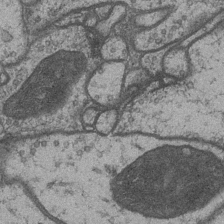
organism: Drosophila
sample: Optic medulla